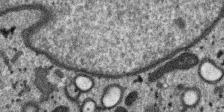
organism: Human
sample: Lung epithelial cells infected with SARS-CoV-2